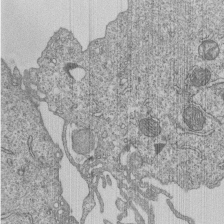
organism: Human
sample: MDA-MB-231 cells